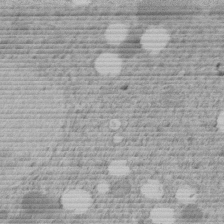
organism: C. elegans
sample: C. elegans embryo early stage